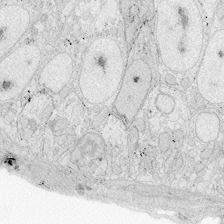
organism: Zebrafish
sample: Whole-Brain